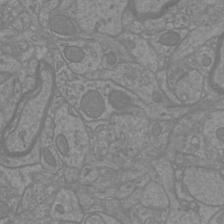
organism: Mouse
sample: Cortical neurons